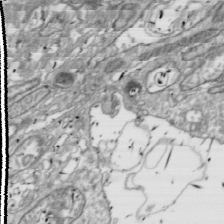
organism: Drosophila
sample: Cell division; meiosis; drosophila spermatocytes